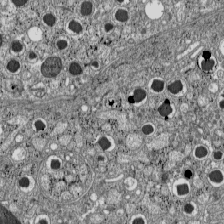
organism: C57BL Mouse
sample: Pancreatic islet